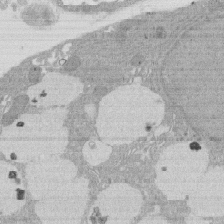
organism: Rat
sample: Salivary granule